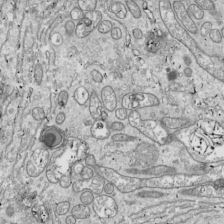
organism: Drosophila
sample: Cell division; meiosis; drosophila spermatocytes